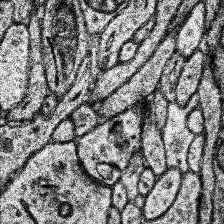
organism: Human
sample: Temporal Lobe